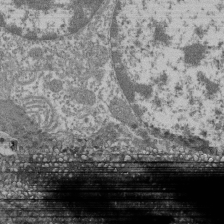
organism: Mouse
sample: Glomerulus